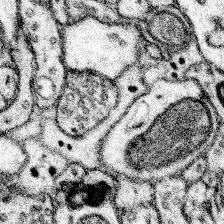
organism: Mouse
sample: Somatosensory cortex neuropil